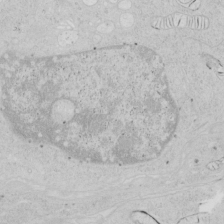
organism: Human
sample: Mitochondria in HCT116 cells